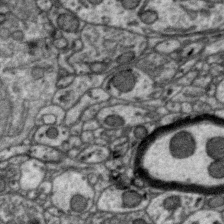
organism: Zebra finch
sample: Brain